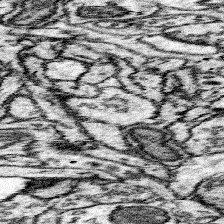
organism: Mouse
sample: Somatosensory cortex neuropil